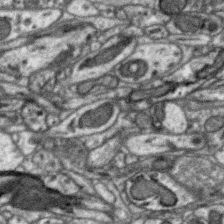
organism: Zebra finch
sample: Brain